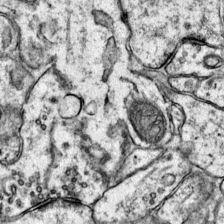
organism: Mouse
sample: Primary visual cortex